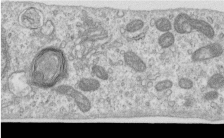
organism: Human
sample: Centriole in RPE cells